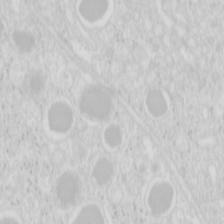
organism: Mouse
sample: Pancreas